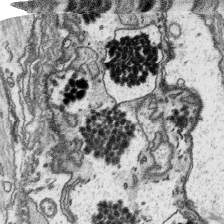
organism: Platynereis dumerilii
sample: Parapodia